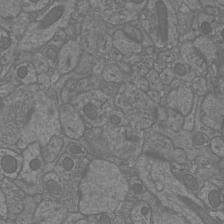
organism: Mouse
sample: Cortical neurons